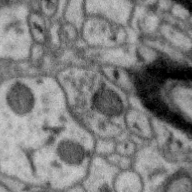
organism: Zebra finch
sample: Brain